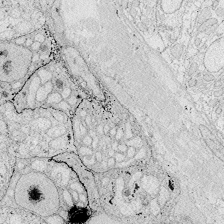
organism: Zebrafish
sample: Whole-Brain